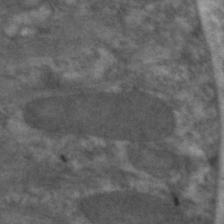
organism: C. elegans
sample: Pharynx